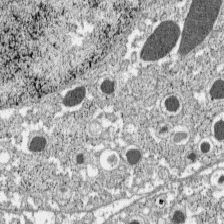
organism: C57BL Mouse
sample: Pancreatic islet